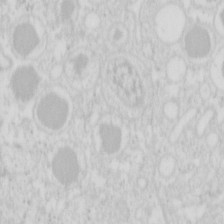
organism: Mouse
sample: Pancreas